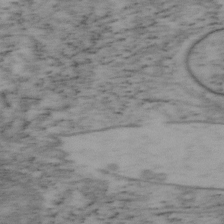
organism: Mouse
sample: OT-I killer T cells with ID8 ovarian cancer cells